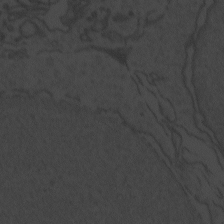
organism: Zebrafish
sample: Macrophage infected with Toxoplasma gondii